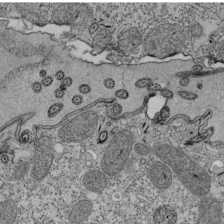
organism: Tetrahymena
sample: Cilia in tetrahymena